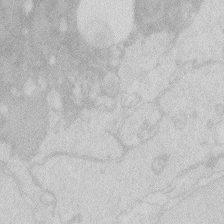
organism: Zebrafish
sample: Macrophage